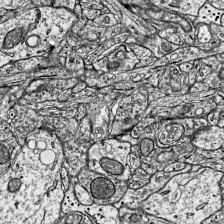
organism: Mouse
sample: Visual Cortex